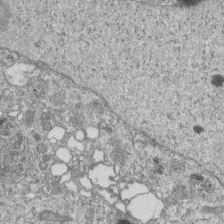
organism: Human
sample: HeLa cell HIV synapse